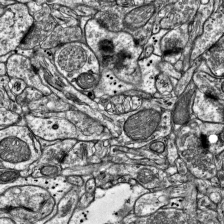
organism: Mouse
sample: Visual Cortex